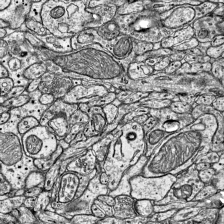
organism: Mouse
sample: Visual Cortex